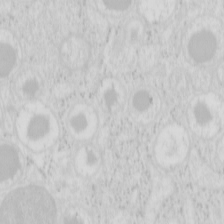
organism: Mouse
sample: Pancreas